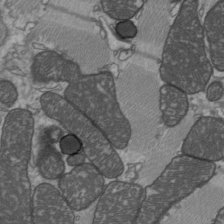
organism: C57BL Mouse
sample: Heart